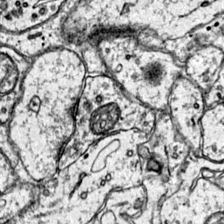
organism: Mouse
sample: Primary visual cortex